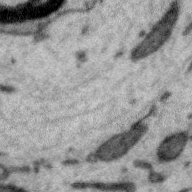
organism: Zebra finch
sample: Brain